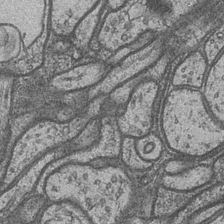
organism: Drosophila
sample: Optic medulla